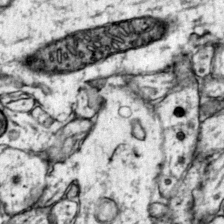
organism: Mouse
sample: Primary visual cortex